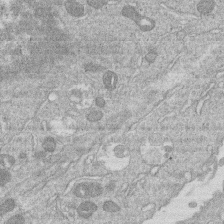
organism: Human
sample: Macrophage cells